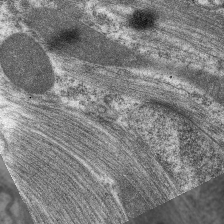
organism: C. elegans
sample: Pharynx